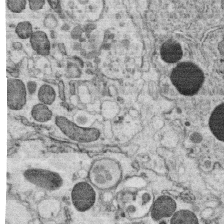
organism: C. elegans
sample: C. elegans oocyte; sperm cells